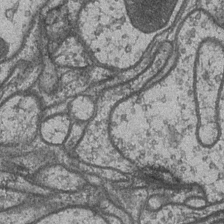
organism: Drosophila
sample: Optic medulla